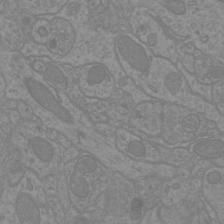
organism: Mouse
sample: Cortical neurons